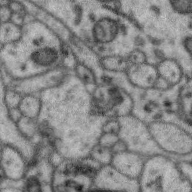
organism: Zebra finch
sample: Brain